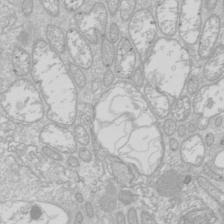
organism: Drosophila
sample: Cell division; meiosis; drosophila spermatocytes